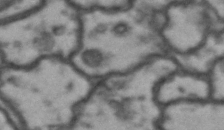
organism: Drosophila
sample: Brain